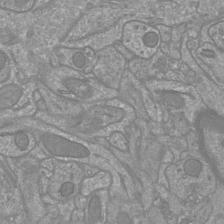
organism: Mouse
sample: Cortical neurons